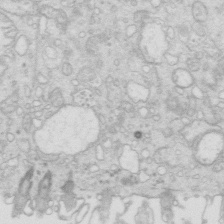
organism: Mouse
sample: Multiciliated cells